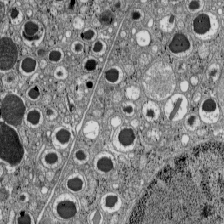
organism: C57BL Mouse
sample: Pancreatic islet